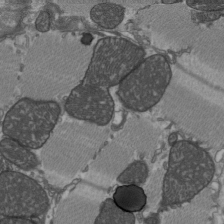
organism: C57BL Mouse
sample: Heart